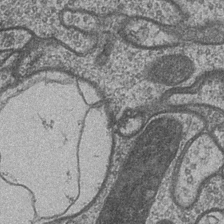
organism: Drosophila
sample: Optic medulla